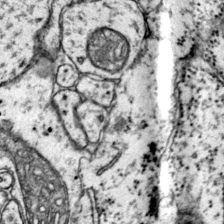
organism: Mouse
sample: Primary visual cortex